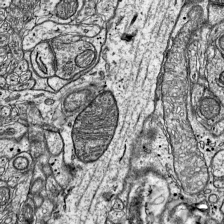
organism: Mouse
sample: Visual Cortex